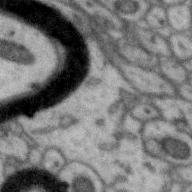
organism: Zebra finch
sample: Brain